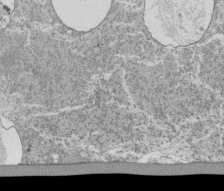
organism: Tetrahymena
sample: Cilia in tetrahymena